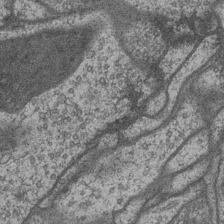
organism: Drosophila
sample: Optic medulla